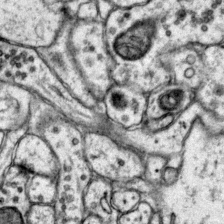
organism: Mouse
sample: Primary visual cortex